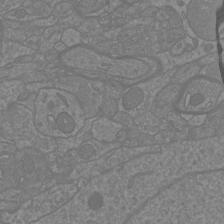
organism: Mouse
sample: Cortical neurons